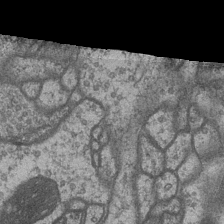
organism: Drosophila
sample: Optic medulla